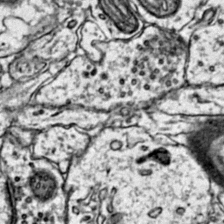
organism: Mouse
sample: Primary visual cortex